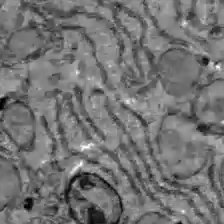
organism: C57BL Mouse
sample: Liver